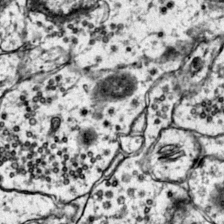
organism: Mouse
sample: Primary visual cortex